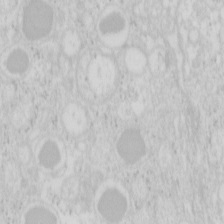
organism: Mouse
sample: Pancreas